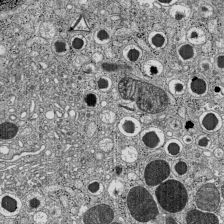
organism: C57BL Mouse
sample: Pancreatic islet